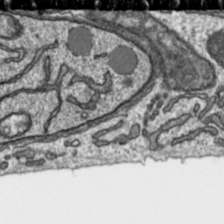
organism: Toxoplasma gondii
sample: Parasites in a vacuole inside a host cell